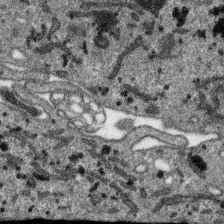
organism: Human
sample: Lung epithelial cells infected with SARS-CoV-2